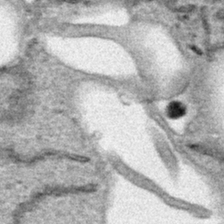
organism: Human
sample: Mitochondria in HCT116 cells